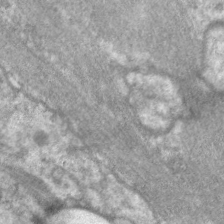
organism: C. elegans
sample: Pharynx